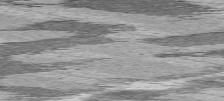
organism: C57BL Mouse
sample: Heart